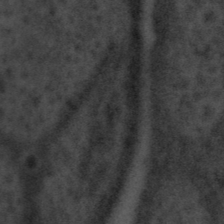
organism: Tuwongella immobilis